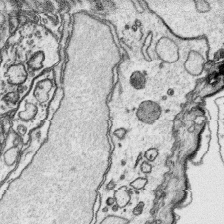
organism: Platynereis dumerilii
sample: Parapodia